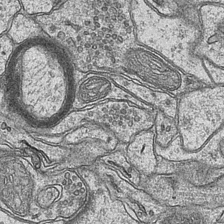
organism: Mouse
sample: CA1 Hippocampus